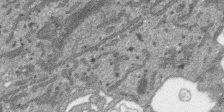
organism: Human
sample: Lung epithelial cells infected with SARS-CoV-2